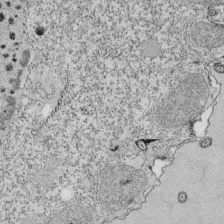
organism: Tetrahymena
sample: Cilia in tetrahymena